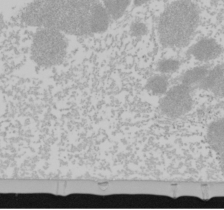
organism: Mouse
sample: Cancer cell death in ED-1 cells